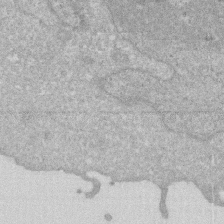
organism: Human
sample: HIV infected U937 cells